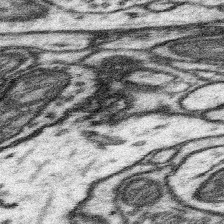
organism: Mouse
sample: Somatosensory cortex neuropil